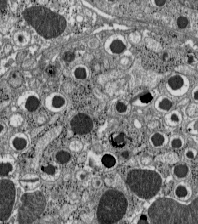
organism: C57BL Mouse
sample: Pancreatic islet